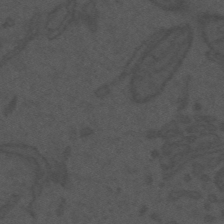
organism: Mouse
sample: Suprachiasmatic nucleus